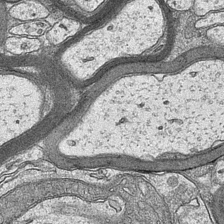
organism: Mouse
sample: CA1 Hippocampus